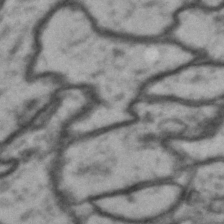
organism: Drosophila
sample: Brain